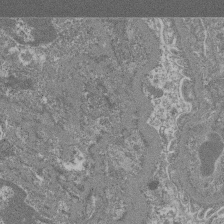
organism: Mouse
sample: Glomerulus